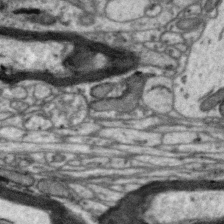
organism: Zebra finch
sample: Brain